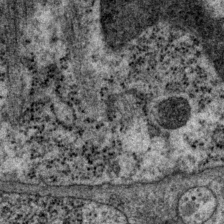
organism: P. pacificus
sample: Pharynx